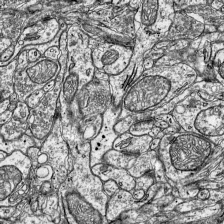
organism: Mouse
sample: Visual Cortex